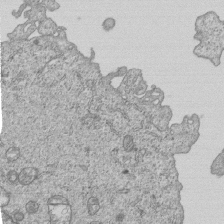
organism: Human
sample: MDA-MB-231 cells